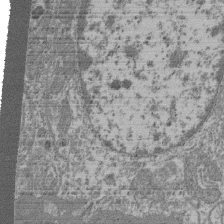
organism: Mouse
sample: Glomerulus